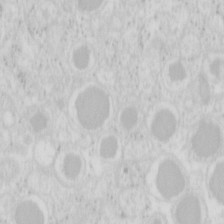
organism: Mouse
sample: Pancreas